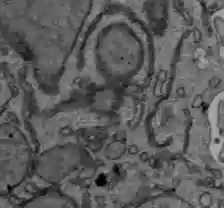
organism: C57BL Mouse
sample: Liver